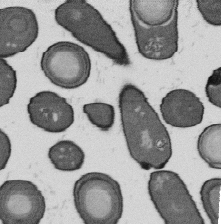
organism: B. subtilis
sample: Bacterial spore